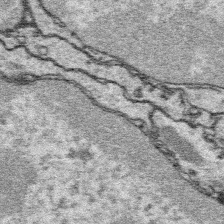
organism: Platynereis dumerilii